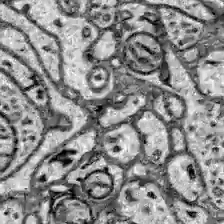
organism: Zebrafish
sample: Brain